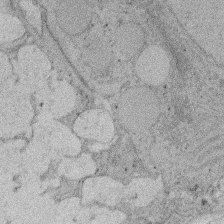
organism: Rat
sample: Salivary granule